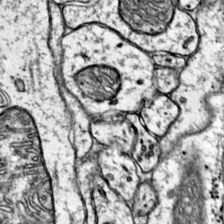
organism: Mouse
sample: Primary visual cortex